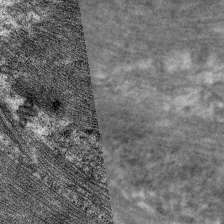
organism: C. elegans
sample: Pharynx